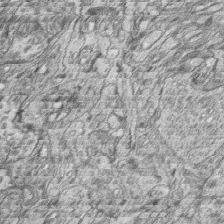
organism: Zebrafish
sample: synaptic ribbons in rod cells and cone cells